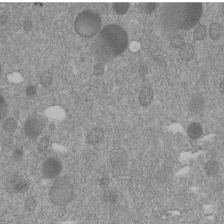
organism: C. elegans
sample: C. elegans embryo early stage